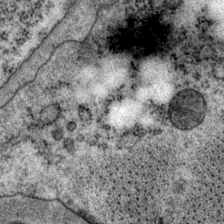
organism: P. pacificus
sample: Pharynx